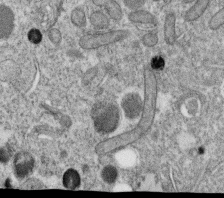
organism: C. elegans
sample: C. elegans oocyte; sperm cells